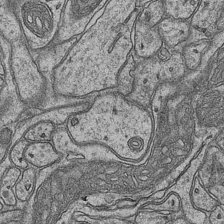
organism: Mouse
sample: CA1 Hippocampus